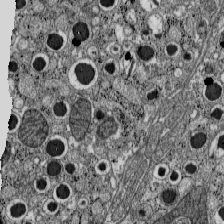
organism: C57BL Mouse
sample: Pancreatic islet